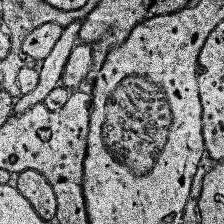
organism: Human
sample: Temporal Lobe